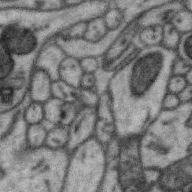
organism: Zebra finch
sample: Brain